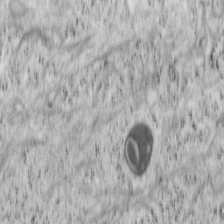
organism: Human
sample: HeLa cells